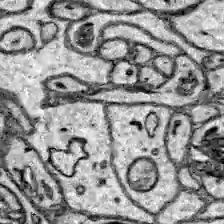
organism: Zebrafish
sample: Brain